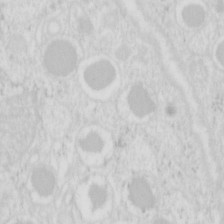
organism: Mouse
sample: Pancreas